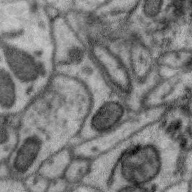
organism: Zebra finch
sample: Brain